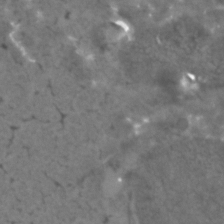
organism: Human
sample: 1205lu cells